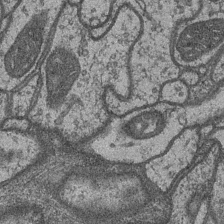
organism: Drosophila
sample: Optic medulla